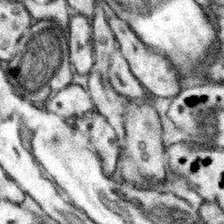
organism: Mouse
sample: Somatosensory cortex neuropil